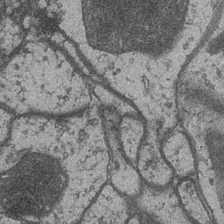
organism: Drosophila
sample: Optic medulla